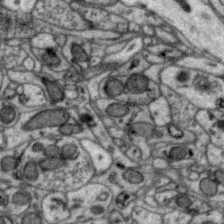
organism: Zebra finch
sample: Brain